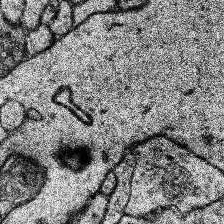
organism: Human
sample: Temporal Lobe